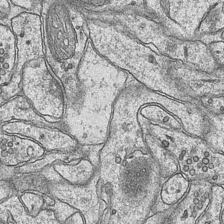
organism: Mouse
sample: CA1 Hippocampus